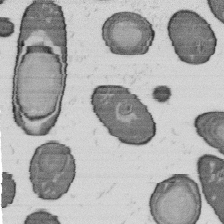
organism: B. subtilis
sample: Bacterial spore